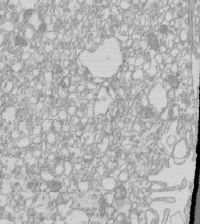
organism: Mouse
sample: Macrophages